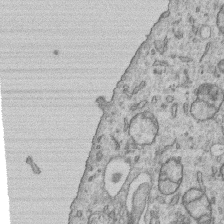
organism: Human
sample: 1205lu cells